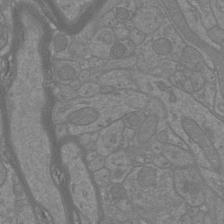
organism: Mouse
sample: Cortical neurons